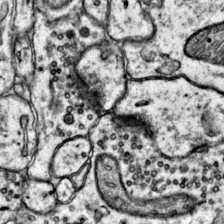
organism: Mouse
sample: Primary visual cortex